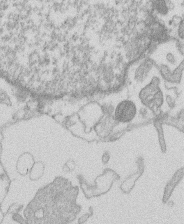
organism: Human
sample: Macrophage cells